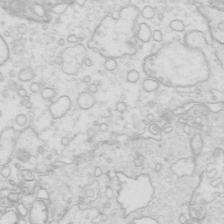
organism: Mouse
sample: Multiciliated cells